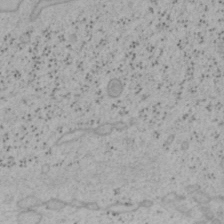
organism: Human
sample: HeLa cells